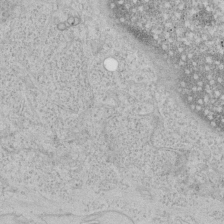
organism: Human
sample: Mitochondria in HCT116 cells